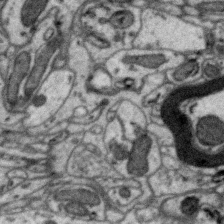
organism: Zebra finch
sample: Brain